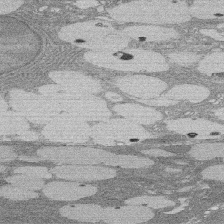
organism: Rat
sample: Salivary granule